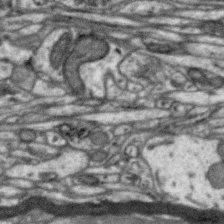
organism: Zebra finch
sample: Brain